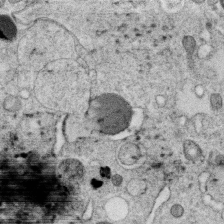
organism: C. elegans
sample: C. elegans oocyte; sperm cells